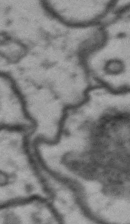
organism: Drosophila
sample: Brain